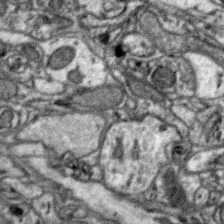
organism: Zebra finch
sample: Brain